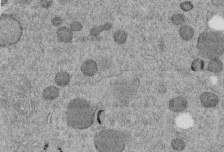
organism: C. elegans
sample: C. elegans embryo early stage